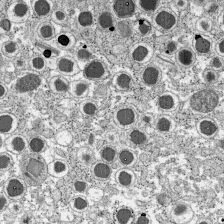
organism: C57BL Mouse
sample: Pancreatic islet